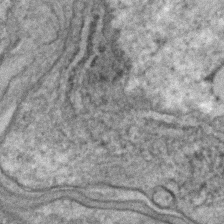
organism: C. elegans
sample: C. elegans embryo